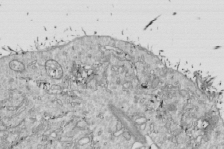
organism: Drosophila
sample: Cell division; meiosis; drosophila spermatocytes